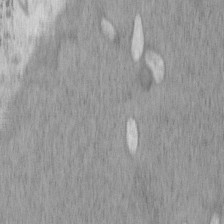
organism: Human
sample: HeLa cells